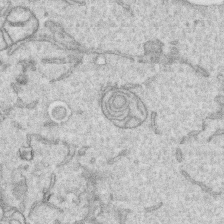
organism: Human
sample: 1205lu cells